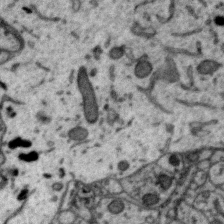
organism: Zebra finch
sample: Brain